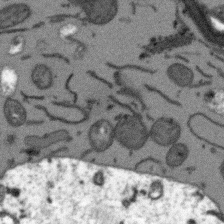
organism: Arabidopsis thaliana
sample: Root tip